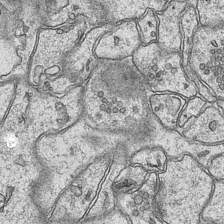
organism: Mouse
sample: CA1 Hippocampus